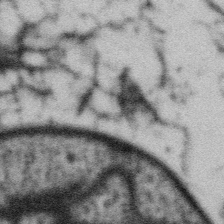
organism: Gemmata obscuriglobus